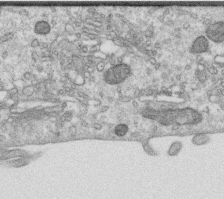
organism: Human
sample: Centriole in RPE cells